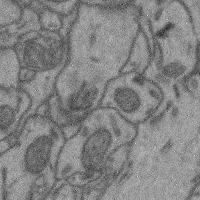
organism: Mouse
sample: Cerebral cortex